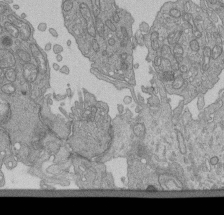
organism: Human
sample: Retinal organoid Rod and Cone cells